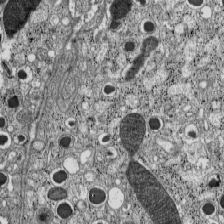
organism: C57BL Mouse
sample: Pancreatic islet